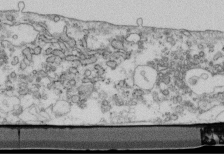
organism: Mouse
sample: Cilia; retinal pigment epithelium